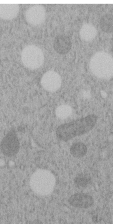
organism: C. elegans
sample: C. elegans embryo early stage